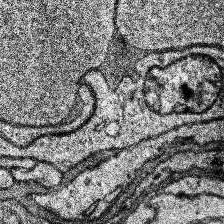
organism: Human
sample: Temporal Lobe